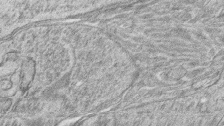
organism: Zebrafish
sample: synaptic ribbons in rod cells and cone cells